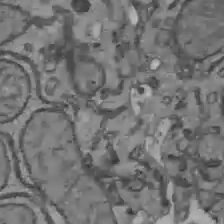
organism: C57BL Mouse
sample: Liver